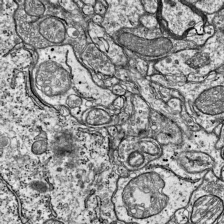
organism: Mouse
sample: Visual Cortex